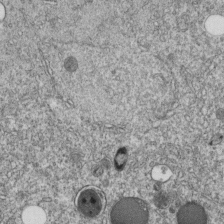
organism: C. elegans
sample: C. elegans embryo early stage